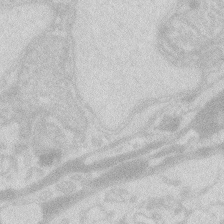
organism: Zebrafish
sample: Macrophage